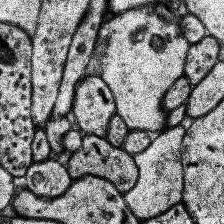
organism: Human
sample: Temporal Lobe